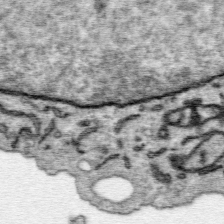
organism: Human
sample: HeLa cells